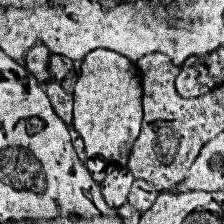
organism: Human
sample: Temporal Lobe